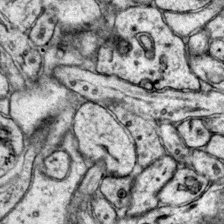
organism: Mouse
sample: Primary visual cortex